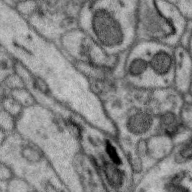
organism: Zebra finch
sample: Brain